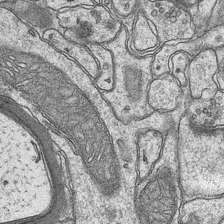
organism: Mouse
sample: CA1 Hippocampus